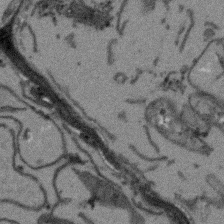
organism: Arabidopsis thaliana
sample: Root tip